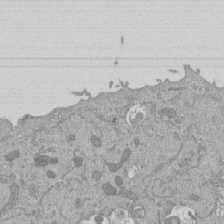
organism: Mouse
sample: ED-1 cell nuclei; centrioles